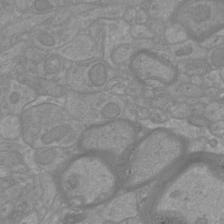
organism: Mouse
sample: Cortical neurons